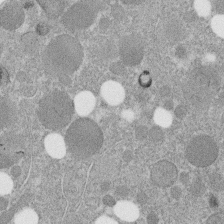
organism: C. elegans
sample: C. elegans embryo early stage